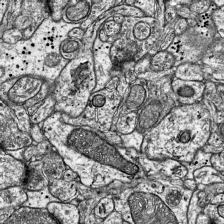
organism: Mouse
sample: Visual Cortex